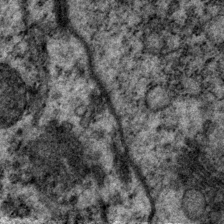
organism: P. pacificus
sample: Pharynx